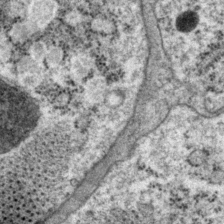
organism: P. pacificus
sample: Pharynx